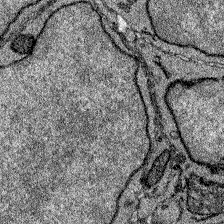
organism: Zebrafish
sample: Larval olfactory bulb